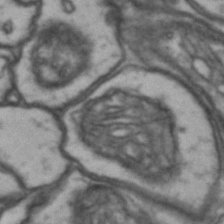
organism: Drosophila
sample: Brain